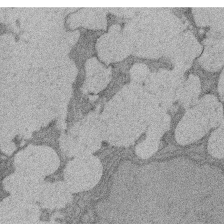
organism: Rat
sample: Salivary granule